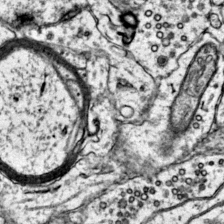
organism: Mouse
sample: Primary visual cortex